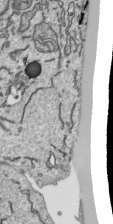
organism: Human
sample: Mitochondria in HCT116 cells